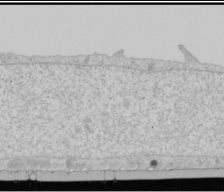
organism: Human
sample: Mitochondria in U2OS cells